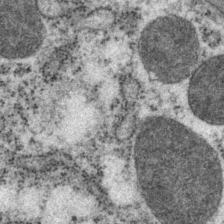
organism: P. pacificus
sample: Pharynx